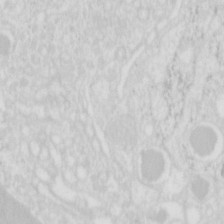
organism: Mouse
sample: Pancreas